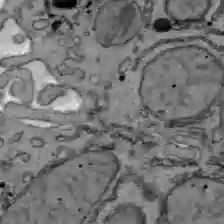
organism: C57BL Mouse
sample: Liver